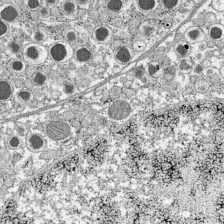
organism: C57BL Mouse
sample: Pancreatic islet